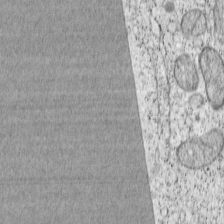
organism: African green monkey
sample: COS-7 cells